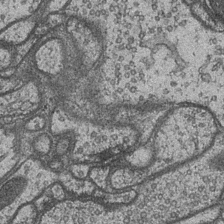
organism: Drosophila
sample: Optic medulla